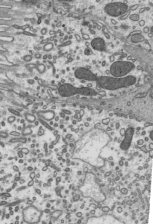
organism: Mouse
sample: Mouse epididymis efferent ductule cilia